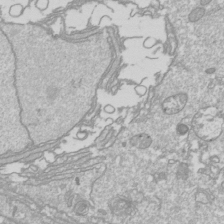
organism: Drosophila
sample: Cell division; meiosis; drosophila spermatocytes